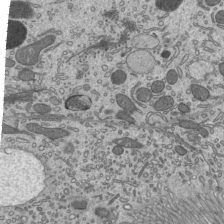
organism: Mouse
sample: Mouse epididymis efferent ductule cilia